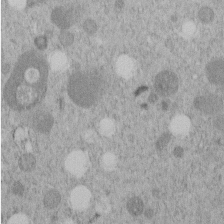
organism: C. elegans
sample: C. elegans embryo early stage